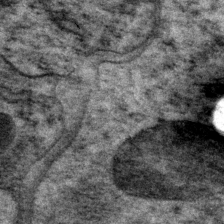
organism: P. pacificus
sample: Pharynx